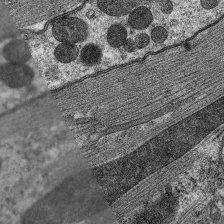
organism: C. elegans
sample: Pharynx